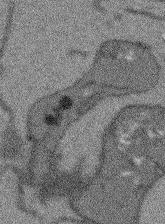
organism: Arabidopsis thaliana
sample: Root tip